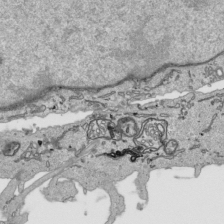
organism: Human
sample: Mitochondria in HCT116 cells